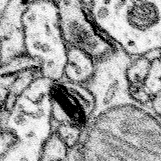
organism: Mouse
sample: Somatosensory cortex neuropil